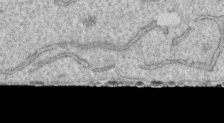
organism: Human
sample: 1205lu cells